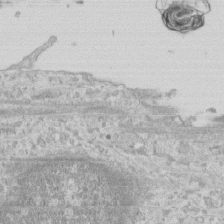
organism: Human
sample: CRL-1474